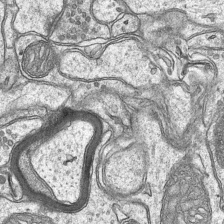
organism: Mouse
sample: CA1 Hippocampus